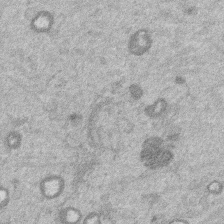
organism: Mouse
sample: Dividing mouse embryo 1 cell stage